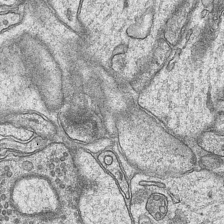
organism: Mouse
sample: CA1 Hippocampus